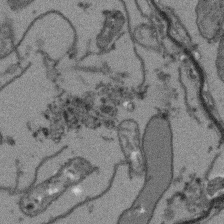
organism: Arabidopsis thaliana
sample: Root tip